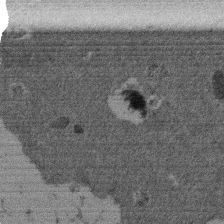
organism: Mouse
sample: Dividing mouse embryo 1 cell stage